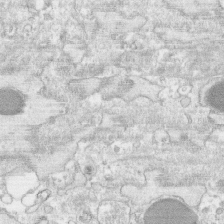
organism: Human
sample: CRL-1474